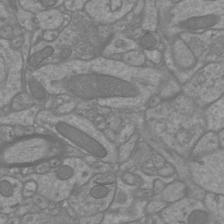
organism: Mouse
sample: Cortical neurons